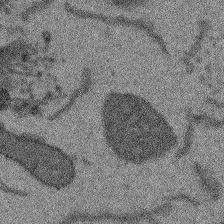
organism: Arabidopsis thaliana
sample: Root tip